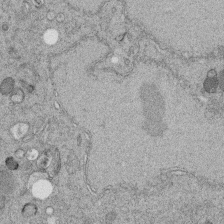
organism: C. elegans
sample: C. elegans embryo early stage